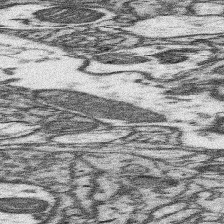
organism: Mouse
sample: Somatosensory cortex neuropil